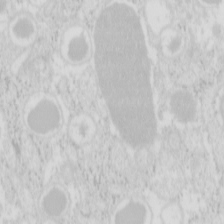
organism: Mouse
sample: Pancreas